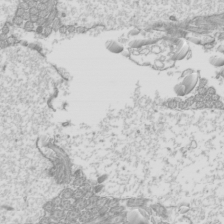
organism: Mouse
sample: Cilia; mouse epididymis